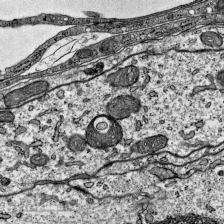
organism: Mouse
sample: Visual Cortex